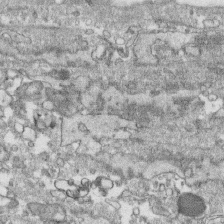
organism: Human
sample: CRL-1474